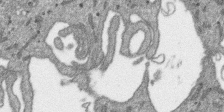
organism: Human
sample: Lung epithelial cells infected with SARS-CoV-2